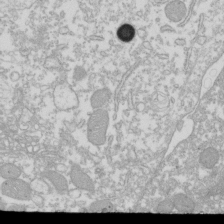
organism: Xenopus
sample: Cilia; centrioles in frog embryo cells